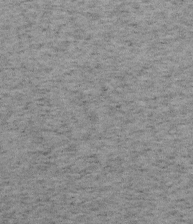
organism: Mouse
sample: OT-I killer T cells with ID8 ovarian cancer cells